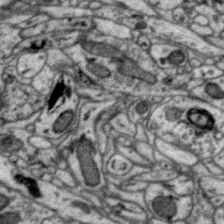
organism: Zebra finch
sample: Brain